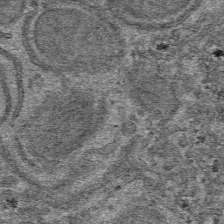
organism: Mouse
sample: Mouse hepatocytes